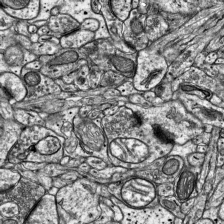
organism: Mouse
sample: Visual Cortex